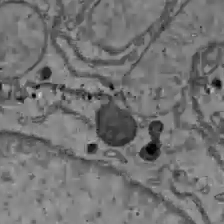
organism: C57BL Mouse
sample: Liver